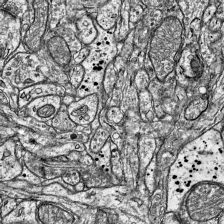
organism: Mouse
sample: Visual Cortex